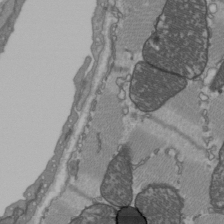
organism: C57BL Mouse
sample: Heart